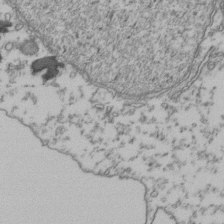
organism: Human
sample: Activated Jurkat CD4+ T cells